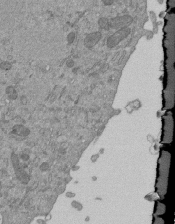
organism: Mouse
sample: ED-1 cell nuclei; centrioles